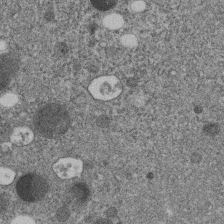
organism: C. elegans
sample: C. elegans embryo early stage